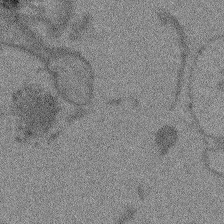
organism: Arabidopsis thaliana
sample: Root tip